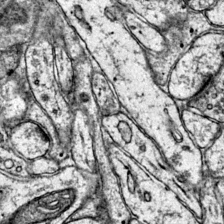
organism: Mouse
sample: Primary visual cortex